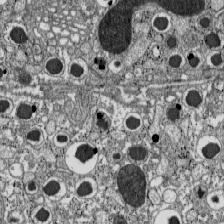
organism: C57BL Mouse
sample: Pancreatic islet